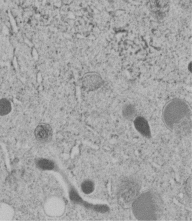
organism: C. elegans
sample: C. elegans embryo early stage